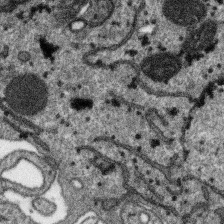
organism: Human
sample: Lung epithelial cells infected with SARS-CoV-2